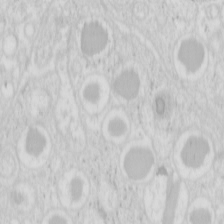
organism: Mouse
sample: Pancreas